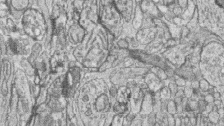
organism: Zebrafish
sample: synaptic ribbons in rod cells and cone cells